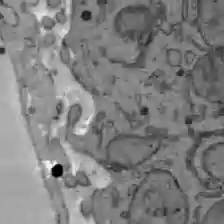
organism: C57BL Mouse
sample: Liver